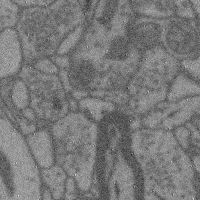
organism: Mouse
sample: Cerebral cortex